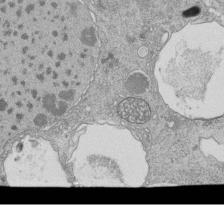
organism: Tetrahymena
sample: Cilia in tetrahymena